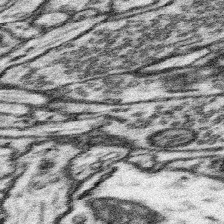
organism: Mouse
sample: Somatosensory cortex neuropil